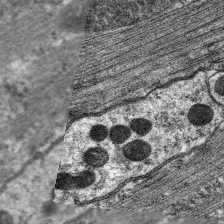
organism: C. elegans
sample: Pharynx